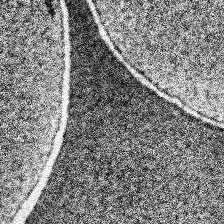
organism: Human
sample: Temporal Lobe